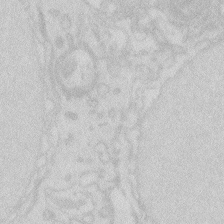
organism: Zebrafish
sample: Macrophage